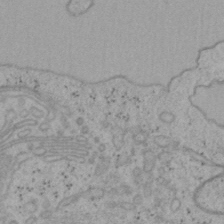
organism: Human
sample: HeLa cells